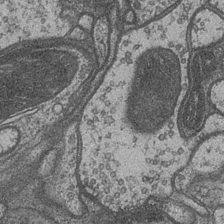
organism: Drosophila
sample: Optic medulla